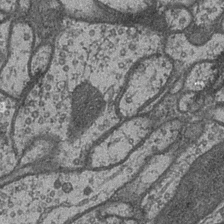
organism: Drosophila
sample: Optic medulla